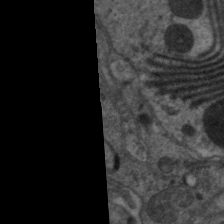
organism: C. elegans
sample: Pharynx